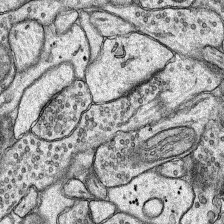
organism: Rat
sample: Hippocampus